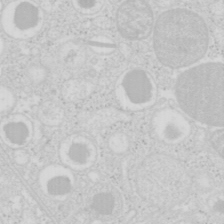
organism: Mouse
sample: Pancreas